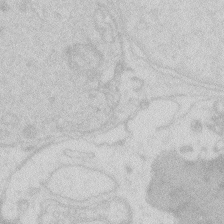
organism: Zebrafish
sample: Macrophage